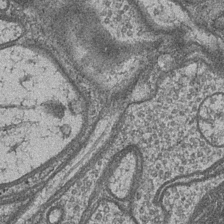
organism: Drosophila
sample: Optic medulla